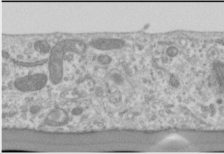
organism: Human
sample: Cilia; basal body in RPE cells